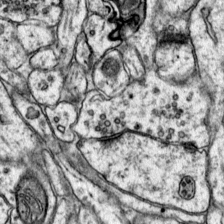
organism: Mouse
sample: Primary visual cortex